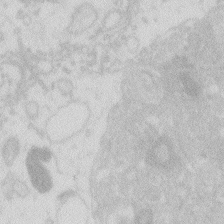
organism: Zebrafish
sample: Macrophage